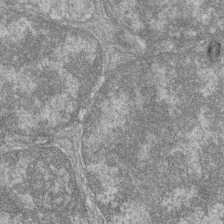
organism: Zebrafish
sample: Cilia; retinal pigment epithelium